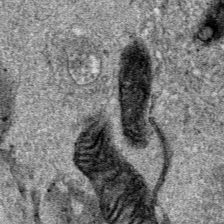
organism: Human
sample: Mitochondria in HCT116 cells